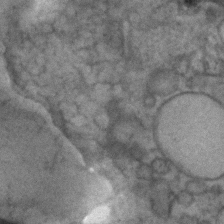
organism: Human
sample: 1205lu cells